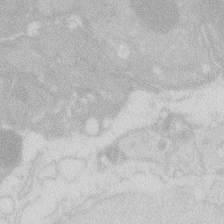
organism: Zebrafish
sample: Macrophage